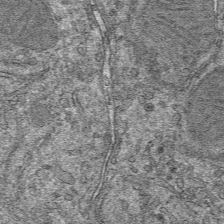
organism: Mouse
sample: Mouse hepatocytes